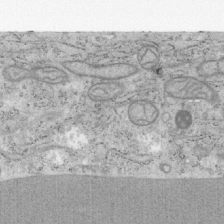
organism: Human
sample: HeLa cells